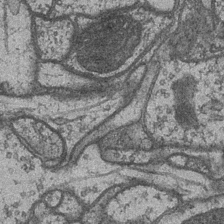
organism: Drosophila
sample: Optic medulla